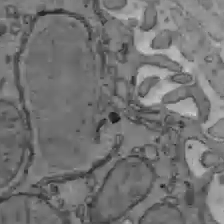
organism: C57BL Mouse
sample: Liver